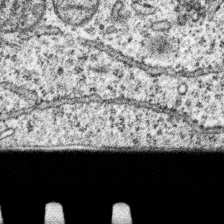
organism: Human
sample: HeLa cells